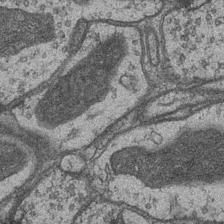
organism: Drosophila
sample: Optic medulla